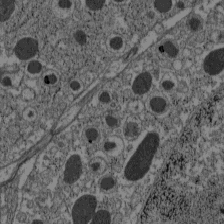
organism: C57BL Mouse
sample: Pancreatic islet